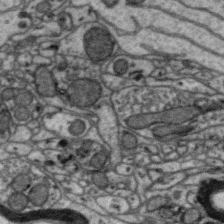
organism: Zebra finch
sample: Brain